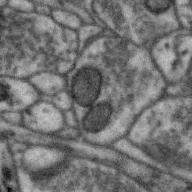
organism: Zebra finch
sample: Brain